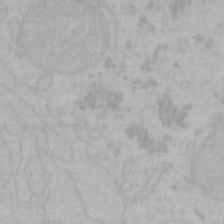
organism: Mouse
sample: Choroid plexus